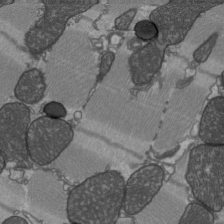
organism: C57BL Mouse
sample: Heart